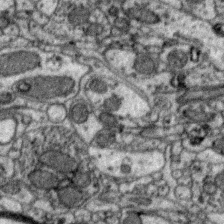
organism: Zebra finch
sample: Brain